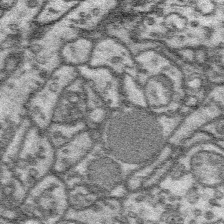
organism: Platynereis dumerilii